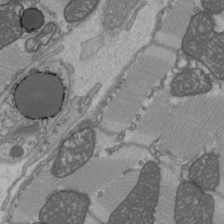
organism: C57BL Mouse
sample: Heart